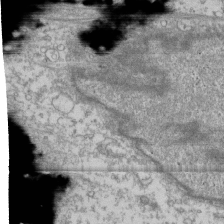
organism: Human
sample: Fibroblast cells